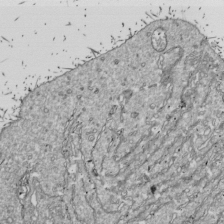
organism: Drosophila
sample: Cell division; meiosis; drosophila spermatocytes